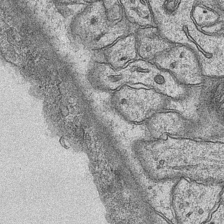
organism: Mouse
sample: CA1 Hippocampus